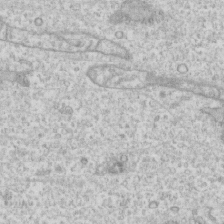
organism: Human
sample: CRL-1474